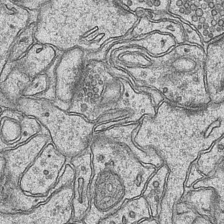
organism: Mouse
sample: CA1 Hippocampus